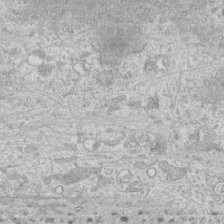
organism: Human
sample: CRL-1474